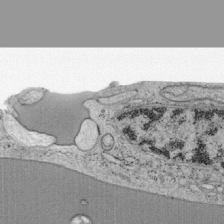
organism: Human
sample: HeLa cells